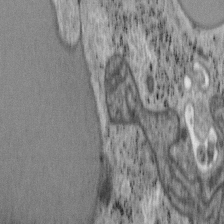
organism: Human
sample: HeLa cells